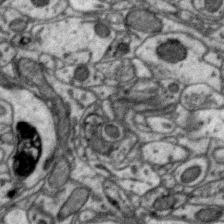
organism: Zebra finch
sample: Brain